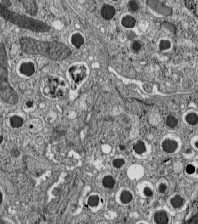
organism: C57BL Mouse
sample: Pancreatic islet